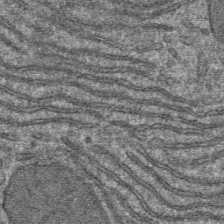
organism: Mouse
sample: Mouse hepatocytes